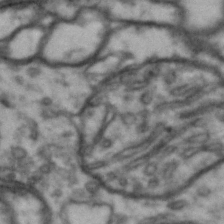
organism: Drosophila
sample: Brain